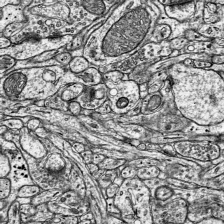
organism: Mouse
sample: Visual Cortex